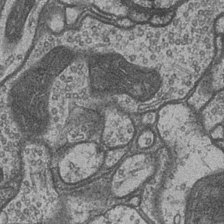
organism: Drosophila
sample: Optic medulla